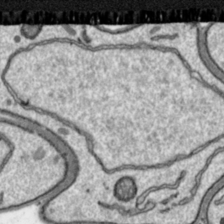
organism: Toxoplasma gondii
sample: Parasites in a vacuole inside a host cell